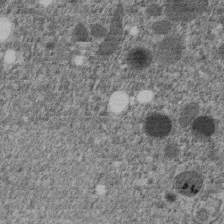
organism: C. elegans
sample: C. elegans embryo early stage